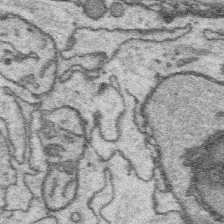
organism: Platynereis dumerilii